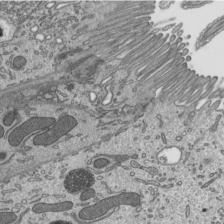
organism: Mouse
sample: Mouse epididymis efferent ductule cilia